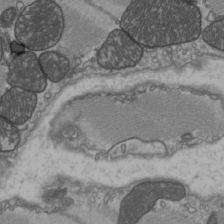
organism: C57BL Mouse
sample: Heart